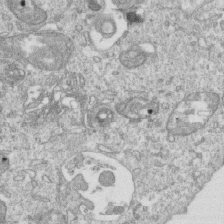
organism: Mouse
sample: Activated OT-1 CD8+ T cells